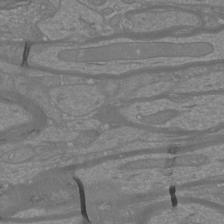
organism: Mouse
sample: Cortical neurons